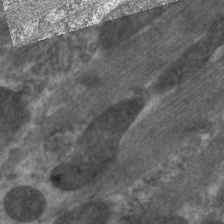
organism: C. elegans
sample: Pharynx